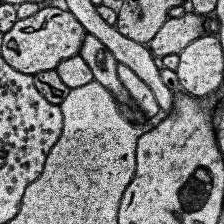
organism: Human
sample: Temporal Lobe